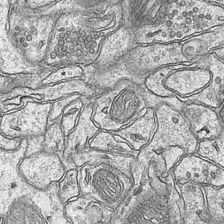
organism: Mouse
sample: CA1 Hippocampus